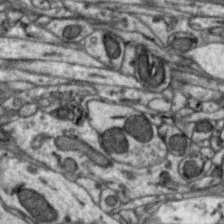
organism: Zebra finch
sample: Brain